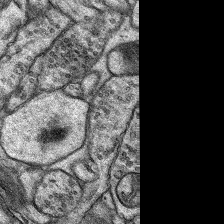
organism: Rat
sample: Hippocampus